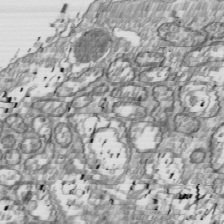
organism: Drosophila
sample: Cell division; meiosis; drosophila spermatocytes